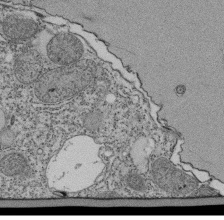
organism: Tetrahymena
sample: Cilia in tetrahymena